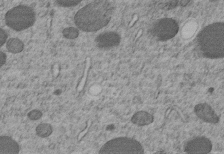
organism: C. elegans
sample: C. elegans embryo early stage